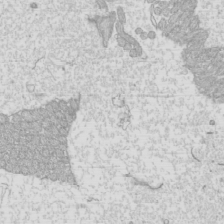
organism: Mouse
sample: Cilia; mouse epididymis